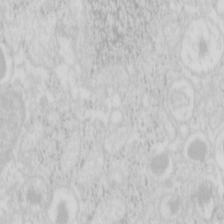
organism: Mouse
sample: Pancreas